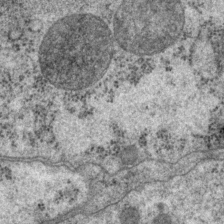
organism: P. pacificus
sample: Pharynx